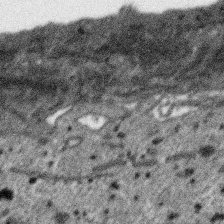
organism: Human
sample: Lung epithelial cells infected with SARS-CoV-2